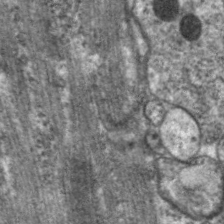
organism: C. elegans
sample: Pharynx